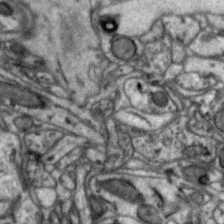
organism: Zebra finch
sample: Brain